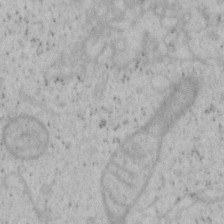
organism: Human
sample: HeLa cells